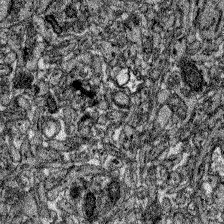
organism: Zebrafish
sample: Larval olfactory bulb